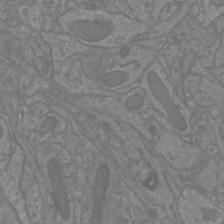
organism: Mouse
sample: Cortical neurons